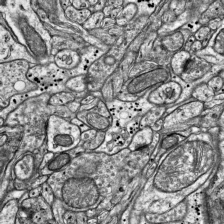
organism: Mouse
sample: Visual Cortex